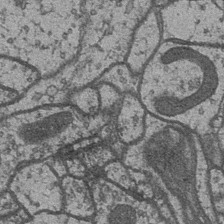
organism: Drosophila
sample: Optic medulla